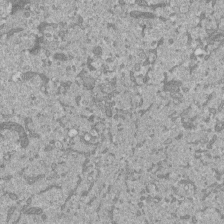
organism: Mouse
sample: ED-1 cell nuclei; centrioles